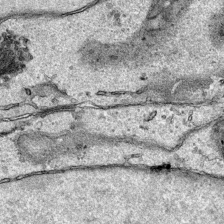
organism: Human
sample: Mitochondria in HCT116 cells